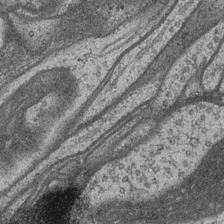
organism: Drosophila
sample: Optic medulla